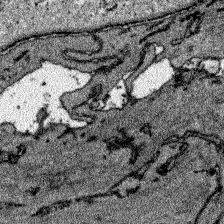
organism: Zebrafish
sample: Larval olfactory bulb